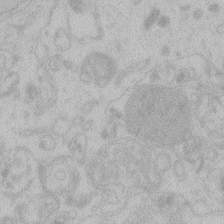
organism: Zebrafish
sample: Macrophage infected with Toxoplasma gondii